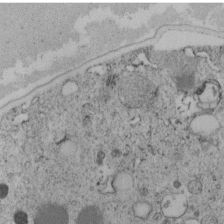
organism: C. elegans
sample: C. elegans embryo early stage